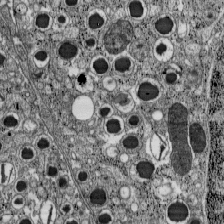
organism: C57BL Mouse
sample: Pancreatic islet